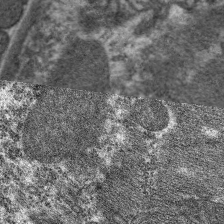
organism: C. elegans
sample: Pharynx